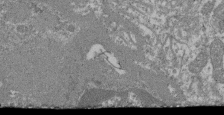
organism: Mouse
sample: Glomerulus